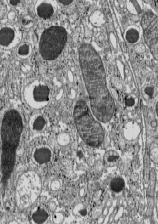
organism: C57BL Mouse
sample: Pancreatic islet